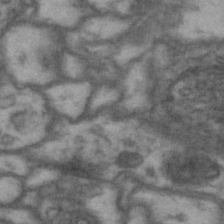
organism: Drosophila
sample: Brain